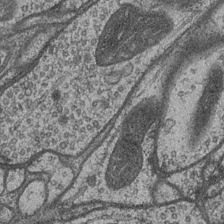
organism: Drosophila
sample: Optic medulla